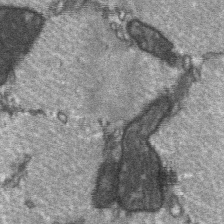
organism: C57BL Mouse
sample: Soleus